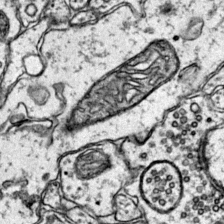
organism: Mouse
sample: Primary visual cortex